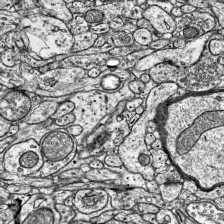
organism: Mouse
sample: Visual Cortex